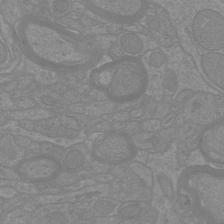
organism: Mouse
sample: Cortical neurons